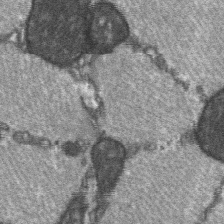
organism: C57BL Mouse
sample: Soleus